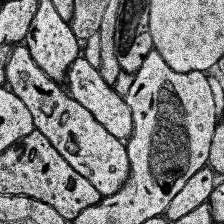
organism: Human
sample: Temporal Lobe